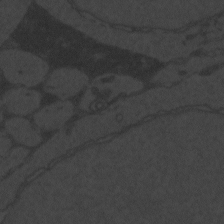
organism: Zebrafish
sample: Macrophage infected with Toxoplasma gondii